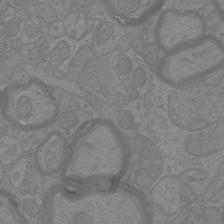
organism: Mouse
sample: Cortical neurons